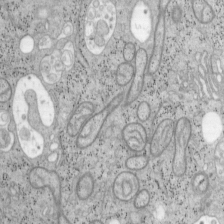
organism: Mouse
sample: OT-I killer T cells with ID8 ovarian cancer cells